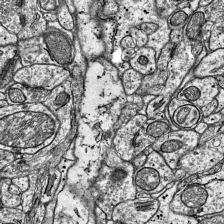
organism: Mouse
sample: Visual Cortex